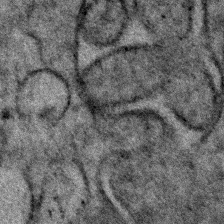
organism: Human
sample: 1205lu cells